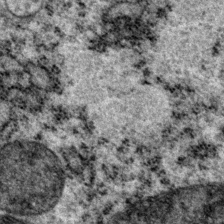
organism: P. pacificus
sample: Pharynx